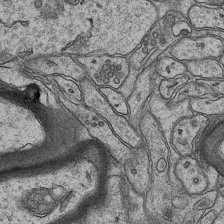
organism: Mouse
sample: CA1 Hippocampus